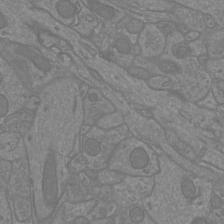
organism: Mouse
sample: Cortical neurons